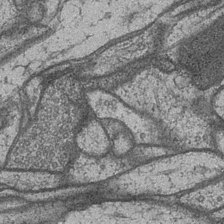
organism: Drosophila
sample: Optic medulla